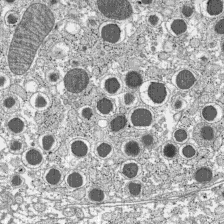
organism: C57BL Mouse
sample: Pancreatic islet